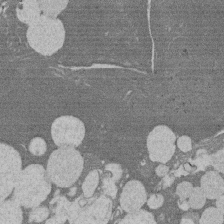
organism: Rat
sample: Salivary granule